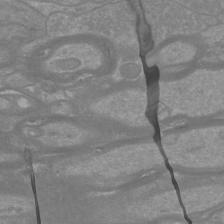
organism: Mouse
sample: Cortical neurons